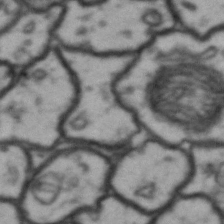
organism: Drosophila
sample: Brain